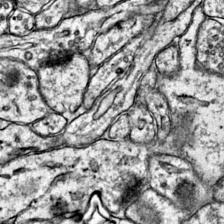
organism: Mouse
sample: Primary visual cortex